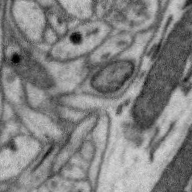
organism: Zebra finch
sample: Brain